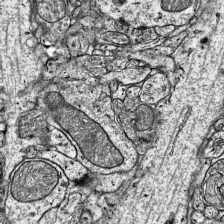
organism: Mouse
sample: Visual Cortex